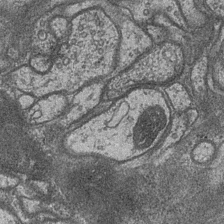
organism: Drosophila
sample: Optic medulla